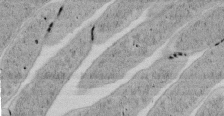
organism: E. coli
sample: Bacterial nucleoid